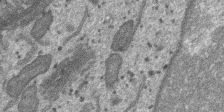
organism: Human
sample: Lung epithelial cells infected with SARS-CoV-2